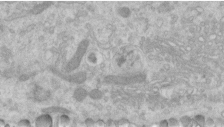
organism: Human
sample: Centriole in RPE cells